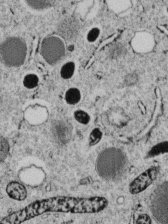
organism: C. elegans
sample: C. elegans embryo early stage